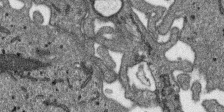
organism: Human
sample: Lung epithelial cells infected with SARS-CoV-2